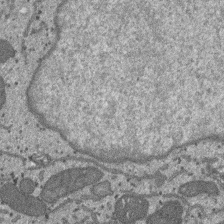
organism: Human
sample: Lung epithelial cells infected with SARS-CoV-2